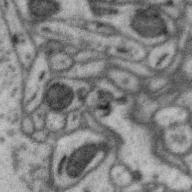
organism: Zebra finch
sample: Brain